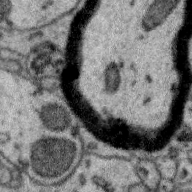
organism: Zebra finch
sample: Brain